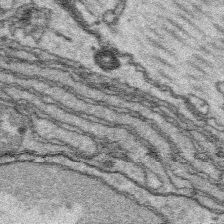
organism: Platynereis dumerilii